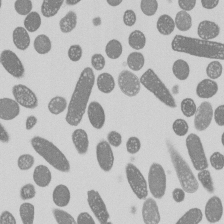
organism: E. coli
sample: Bacterial nucleoid